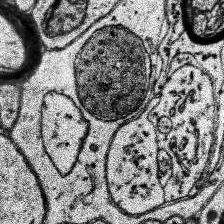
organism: Human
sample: Temporal Lobe